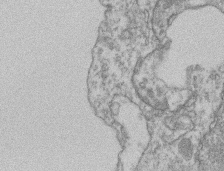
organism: Mouse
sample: T cell stromal cell synapse